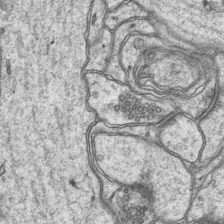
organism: Mouse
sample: CA1 Hippocampus